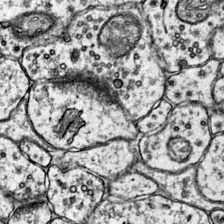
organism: Mouse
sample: Primary visual cortex